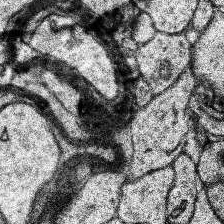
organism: Human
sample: Temporal Lobe